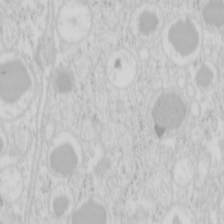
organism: Mouse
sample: Pancreas